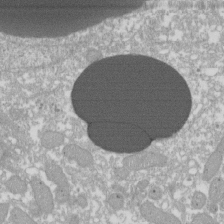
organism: Xenopus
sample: Cilia; centrioles in frog embryo cells